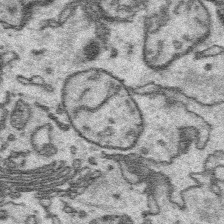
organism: Platynereis dumerilii